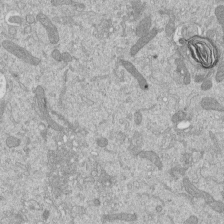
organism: Mouse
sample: ED-1 cell nuclei; centrioles